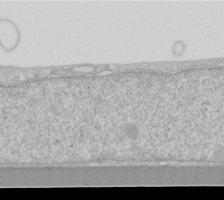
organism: Human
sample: Fibroblast cells